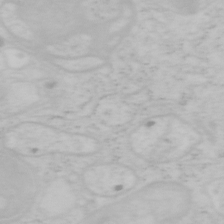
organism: Mouse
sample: OT-I killer T cells with ID8 ovarian cancer cells